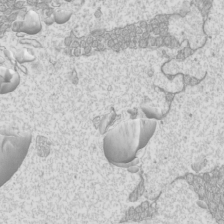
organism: Mouse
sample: Cilia; mouse epididymis